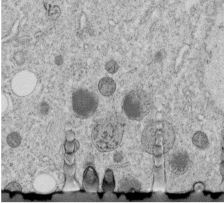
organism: C. elegans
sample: C. elegans embryo early stage